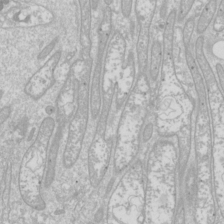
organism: Drosophila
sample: Cell division; meiosis; drosophila spermatocytes